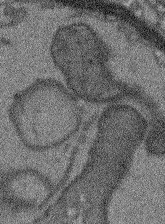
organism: Arabidopsis thaliana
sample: Root tip